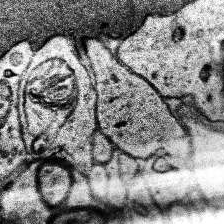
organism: Human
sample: Temporal Lobe